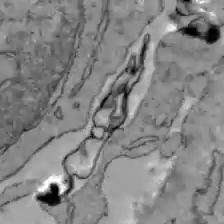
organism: C57BL Mouse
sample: Liver